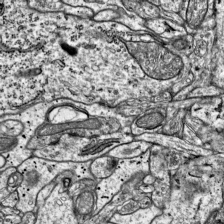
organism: Mouse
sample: Visual Cortex